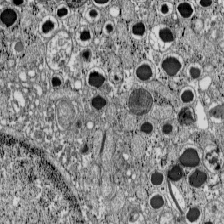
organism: C57BL Mouse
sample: Pancreatic islet